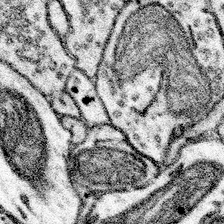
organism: Mouse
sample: Somatosensory cortex neuropil